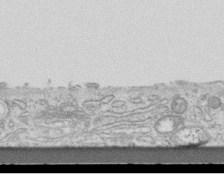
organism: Mouse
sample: Centriole in ependymal cells